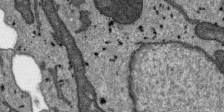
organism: Human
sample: Lung epithelial cells, uninfected (mock) control